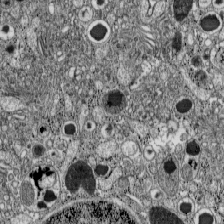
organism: C57BL Mouse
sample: Pancreatic islet